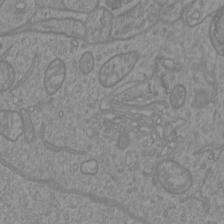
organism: Mouse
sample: Cortical neurons